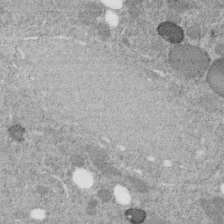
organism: C. elegans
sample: C. elegans embryo early stage